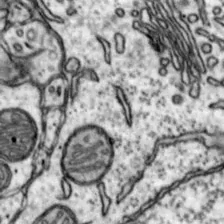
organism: Mouse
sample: Nucleus accumbens